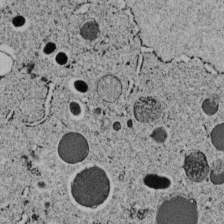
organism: C. elegans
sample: C. elegans embryo early stage